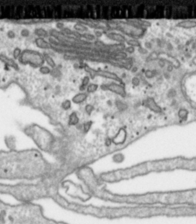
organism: Toxoplasma gondii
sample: Parasites in a vacuole inside a host cell